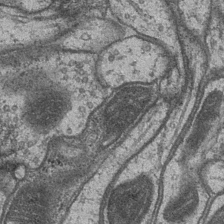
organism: Drosophila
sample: Optic medulla